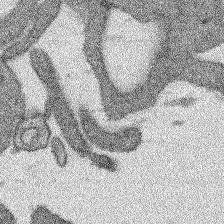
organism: Human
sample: HeLa cells